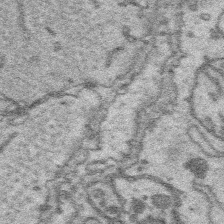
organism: Platynereis dumerilii